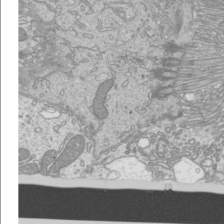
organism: Mouse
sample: Cilia; mouse epididymis